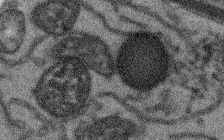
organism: Arabidopsis thaliana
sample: Root tip